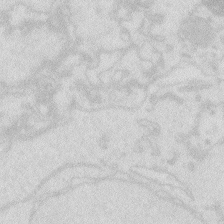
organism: Zebrafish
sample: Macrophage